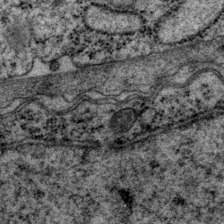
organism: P. pacificus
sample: Pharynx